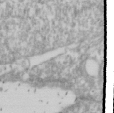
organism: Drosophila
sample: Cell division; meiosis; drosophila spermatocytes